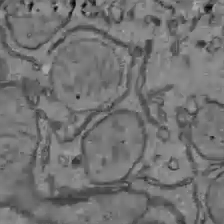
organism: C57BL Mouse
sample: Liver